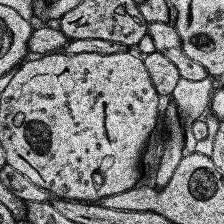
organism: Human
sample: Temporal Lobe